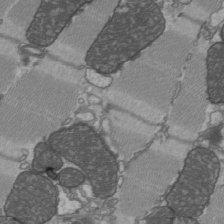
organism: C57BL Mouse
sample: Heart